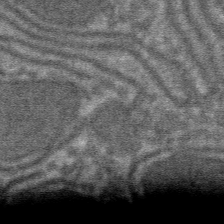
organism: Mouse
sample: Mouse hepatocytes